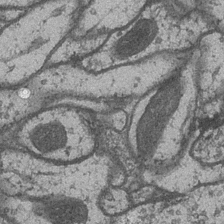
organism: Drosophila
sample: Optic medulla